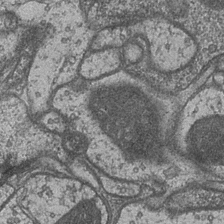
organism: Drosophila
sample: Optic medulla